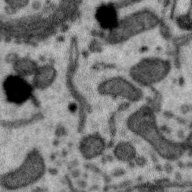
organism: Zebra finch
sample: Brain